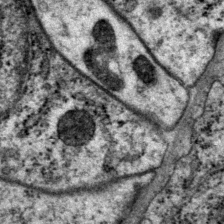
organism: P. pacificus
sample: Pharynx